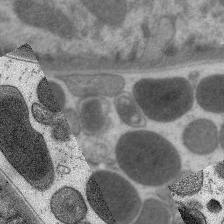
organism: C. elegans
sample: Pharynx